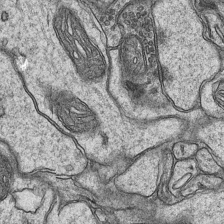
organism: Mouse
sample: CA1 Hippocampus